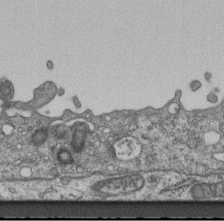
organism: Mouse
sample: Centriole in ependymal cells